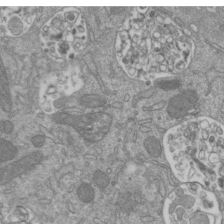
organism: Mouse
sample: ED-1 cell nuclei; centrioles